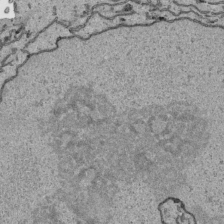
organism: Human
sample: Mitochondria in HCT116 cells